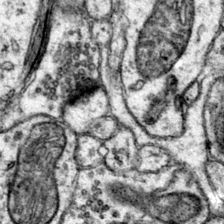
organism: Mouse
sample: Primary visual cortex